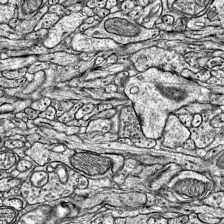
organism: Mouse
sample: Visual Cortex